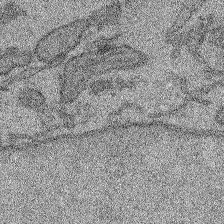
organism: Human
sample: HeLa cells